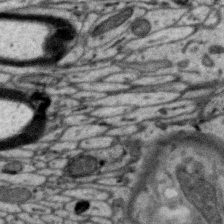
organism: Zebra finch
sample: Brain